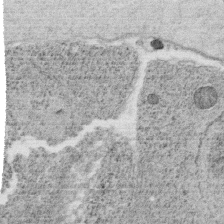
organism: C. elegans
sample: C. elegans oocyte; sperm cells